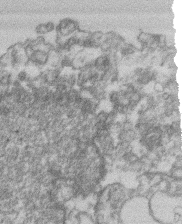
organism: Mouse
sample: T cell stromal cell synapse